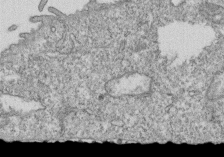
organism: Human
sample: HeLa cell HIV synapse